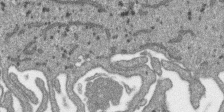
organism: Human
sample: Lung epithelial cells infected with SARS-CoV-2